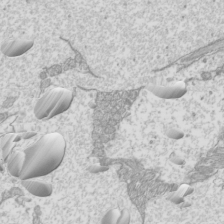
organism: Mouse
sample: Cilia; mouse epididymis